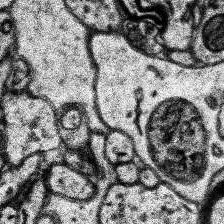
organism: Human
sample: Temporal Lobe